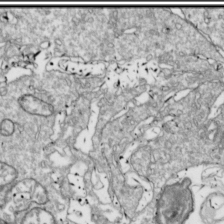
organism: Drosophila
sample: Cell division; meiosis; drosophila spermatocytes